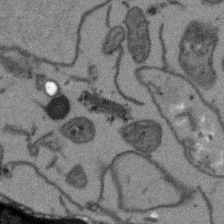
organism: Arabidopsis thaliana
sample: Root tip